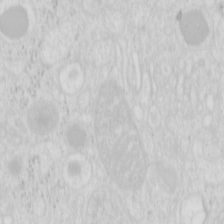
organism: Mouse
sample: Pancreas